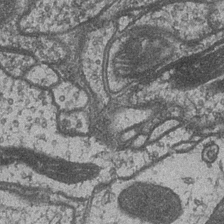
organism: Drosophila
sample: Optic medulla